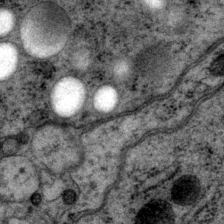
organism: P. pacificus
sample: Pharynx